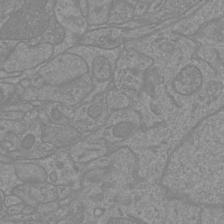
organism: Mouse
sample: Cortical neurons